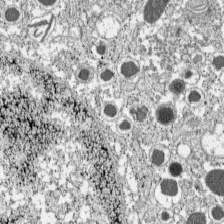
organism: C57BL Mouse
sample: Pancreatic islet